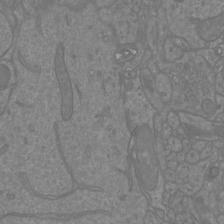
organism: Mouse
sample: Cortical neurons